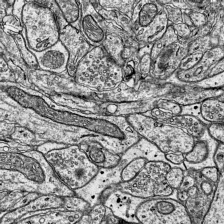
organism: Mouse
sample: Visual Cortex